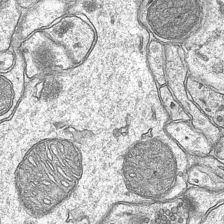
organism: Mouse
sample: CA1 Hippocampus